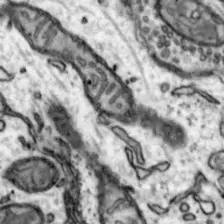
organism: Mouse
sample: Nucleus accumbens